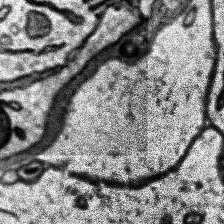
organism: Human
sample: Temporal Lobe